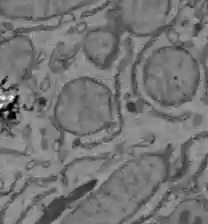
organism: C57BL Mouse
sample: Liver